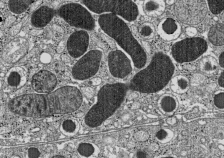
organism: C57BL Mouse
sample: Pancreatic islet